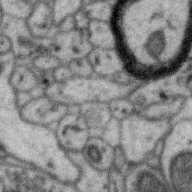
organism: Zebra finch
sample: Brain